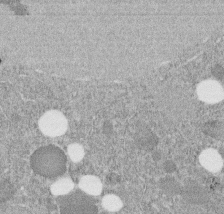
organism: C. elegans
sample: C. elegans embryo early stage